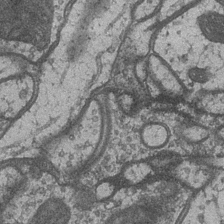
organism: Drosophila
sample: Optic medulla